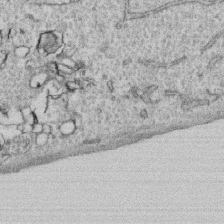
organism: Human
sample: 1205lu cells